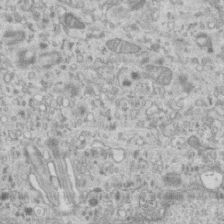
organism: Mouse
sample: Centriole in ependymal cells